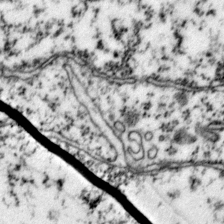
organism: Mouse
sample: Primary visual cortex